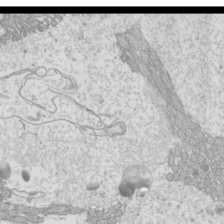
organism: Mouse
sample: Cilia; mouse epididymis